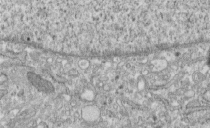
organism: Human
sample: Centriole in fibroblast cells